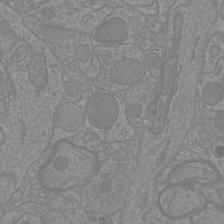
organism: Mouse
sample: Cortical neurons